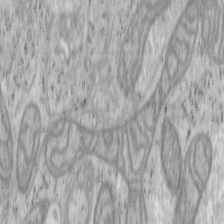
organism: Human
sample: HeLa cells